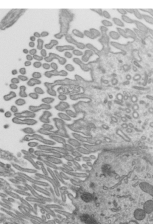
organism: Mouse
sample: Mouse epididymis efferent ductule cilia